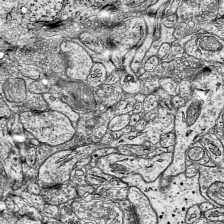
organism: Mouse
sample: Visual Cortex